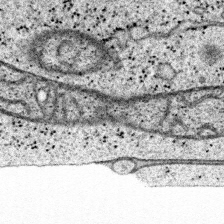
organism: Human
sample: HeLa cells